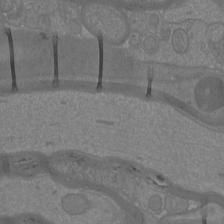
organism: Mouse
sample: Cortical neurons